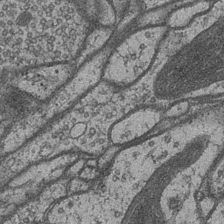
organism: Drosophila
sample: Optic medulla